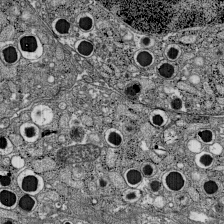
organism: C57BL Mouse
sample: Pancreatic islet